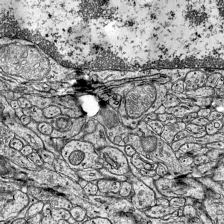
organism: Mouse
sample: Visual Cortex